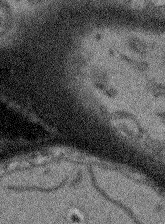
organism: Arabidopsis thaliana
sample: Root tip